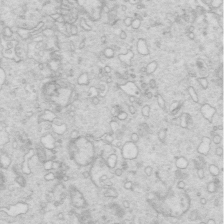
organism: Mouse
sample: Multiciliated cells